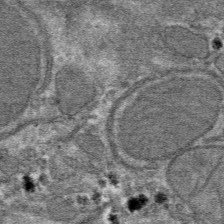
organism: Mouse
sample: Mouse hepatocytes